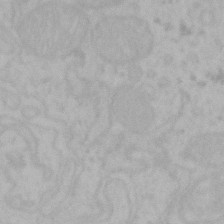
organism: Mouse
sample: Choroid plexus